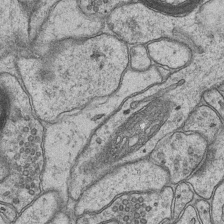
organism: Mouse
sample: CA1 Hippocampus